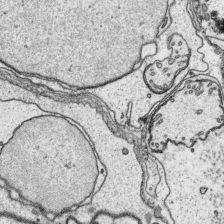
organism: Platynereis dumerilii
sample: Parapodia